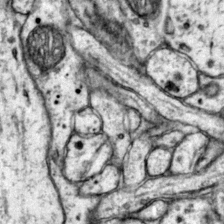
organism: Mouse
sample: Primary visual cortex